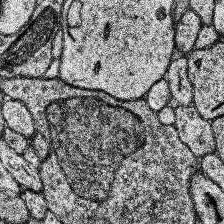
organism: Human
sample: Temporal Lobe